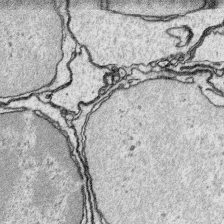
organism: Platynereis dumerilii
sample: Parapodia